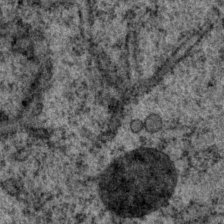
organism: P. pacificus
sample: Pharynx